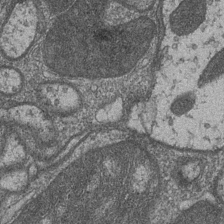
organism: Drosophila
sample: Optic medulla